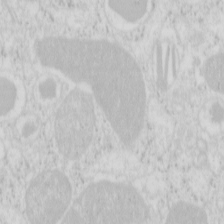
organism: Mouse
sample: Pancreas